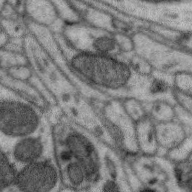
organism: Zebra finch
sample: Brain